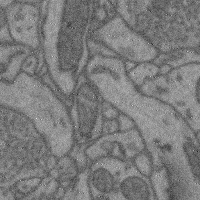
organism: Mouse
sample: Cerebral cortex